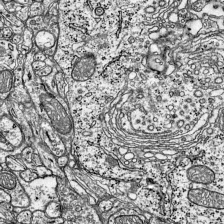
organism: Mouse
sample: Visual Cortex